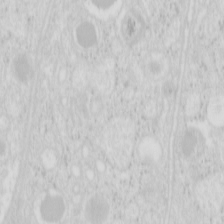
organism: Mouse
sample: Pancreas